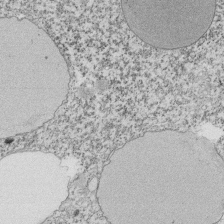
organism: Tetrahymena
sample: Cilia in tetrahymena